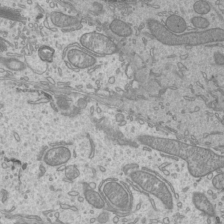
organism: Mouse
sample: Cilia; mouse epididymis